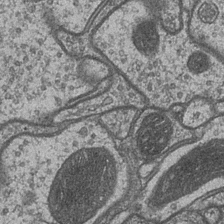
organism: Drosophila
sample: Optic medulla